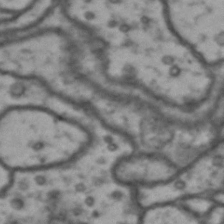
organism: Drosophila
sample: Brain